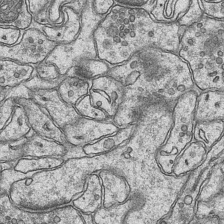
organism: Mouse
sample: CA1 Hippocampus